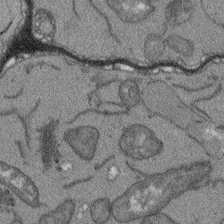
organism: Arabidopsis thaliana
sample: Root tip